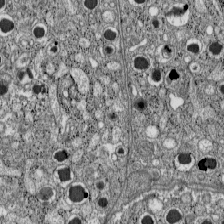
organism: C57BL Mouse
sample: Pancreatic islet